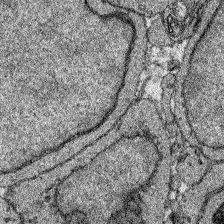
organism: Zebrafish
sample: Larval olfactory bulb